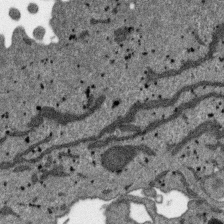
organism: Human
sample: Lung epithelial cells, uninfected (mock) control